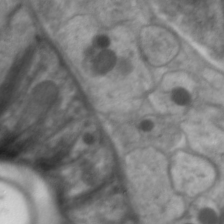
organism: C. elegans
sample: Pharynx